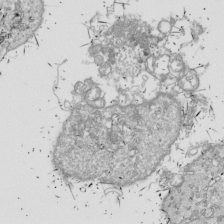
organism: Drosophila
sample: Cell division; meiosis; drosophila spermatocytes